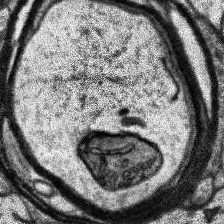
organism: Human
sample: Temporal Lobe